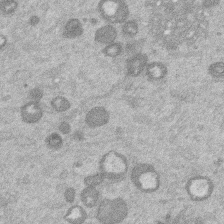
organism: Mouse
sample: Dividing mouse embryo 1 cell stage